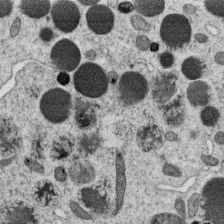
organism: C. elegans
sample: C. elegans oocyte; sperm cells